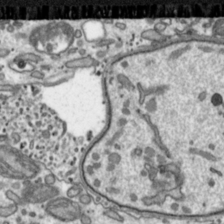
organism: Toxoplasma gondii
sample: Parasites in a vacuole inside a host cell